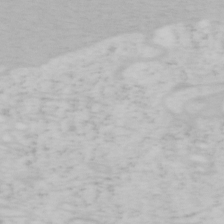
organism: Mouse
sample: OT-I killer T cells with ID8 ovarian cancer cells